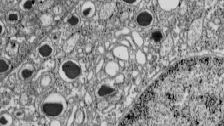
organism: C57BL Mouse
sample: Pancreatic islet